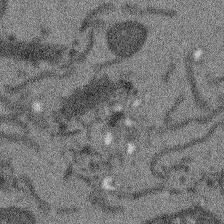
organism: Arabidopsis thaliana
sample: Root tip